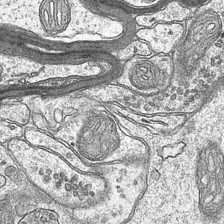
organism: Mouse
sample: CA1 Hippocampus